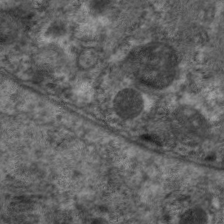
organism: C. elegans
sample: Pharynx